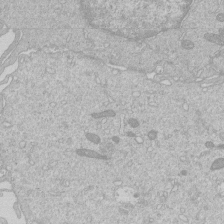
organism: Human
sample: Macrophage cells